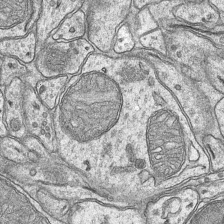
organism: Mouse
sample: CA1 Hippocampus